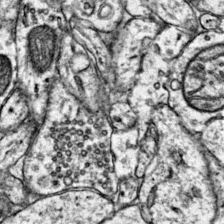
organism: Mouse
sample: Primary visual cortex